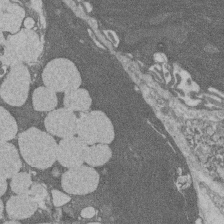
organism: Rat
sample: Salivary granule